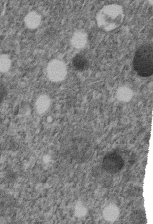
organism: C. elegans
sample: C. elegans embryo early stage